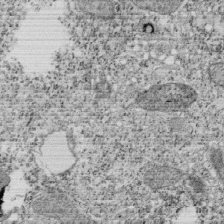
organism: Tetrahymena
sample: Cilia in tetrahymena